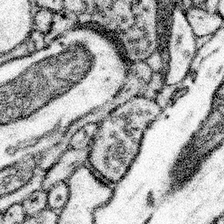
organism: Mouse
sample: Somatosensory cortex neuropil